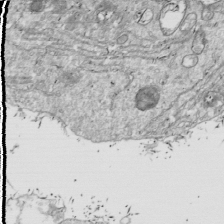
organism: Drosophila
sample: Cell division; meiosis; drosophila spermatocytes